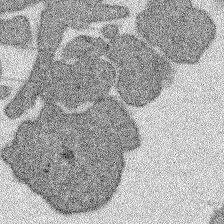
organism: Human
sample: HeLa cells